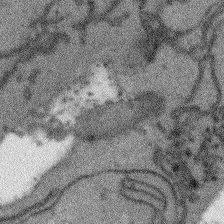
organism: Arabidopsis thaliana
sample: Root tip